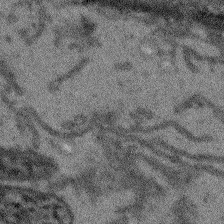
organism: Arabidopsis thaliana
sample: Root tip